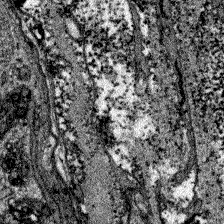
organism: Zebrafish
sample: Larval olfactory bulb